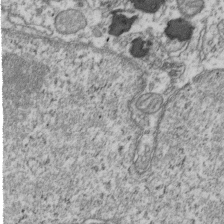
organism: Human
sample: Activated Jurkat CD4+ T cells